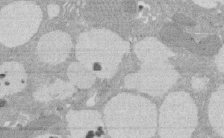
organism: Rat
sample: Salivary granule